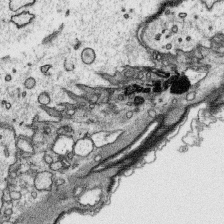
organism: Platynereis dumerilii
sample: Parapodia